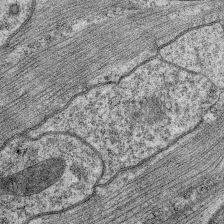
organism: C. elegans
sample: Pharynx